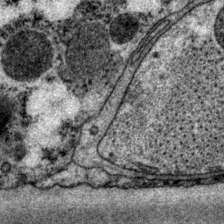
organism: P. pacificus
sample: Pharynx